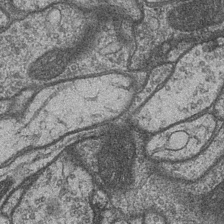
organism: Drosophila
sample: Optic medulla